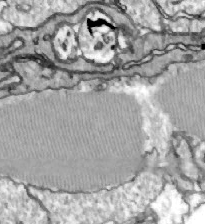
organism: Zebrafish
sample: Actinotrichia fibers